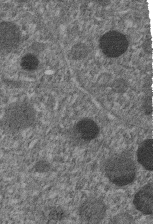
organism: C. elegans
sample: C. elegans embryo early stage